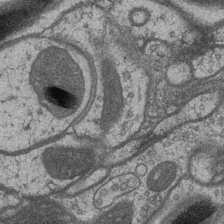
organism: Drosophila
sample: Optic medulla